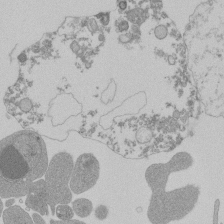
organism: Mouse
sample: Activated Pmel transgenic CD8+ T Cells